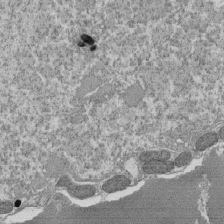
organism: Tetrahymena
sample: Cilia in tetrahymena